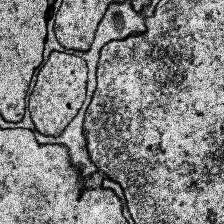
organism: Human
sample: Temporal Lobe